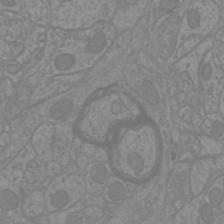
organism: Mouse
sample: Cortical neurons